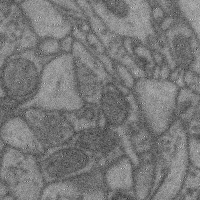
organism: Mouse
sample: Cerebral cortex